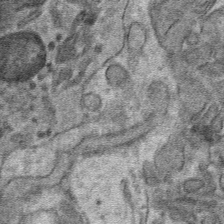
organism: Mouse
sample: Mouse hepatocytes